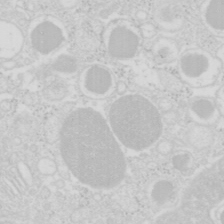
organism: Mouse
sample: Pancreas